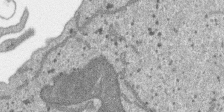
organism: Human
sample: Lung epithelial cells infected with SARS-CoV-2